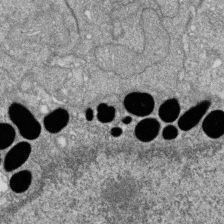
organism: Zebrafish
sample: Cilia; retinal pigment epithelium